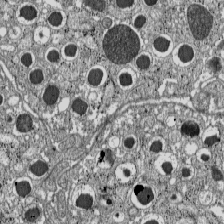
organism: C57BL Mouse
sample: Pancreatic islet